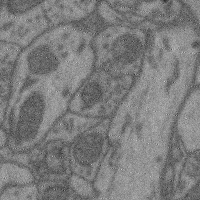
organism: Mouse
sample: Cerebral cortex